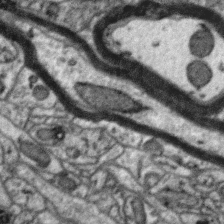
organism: Zebra finch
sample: Brain